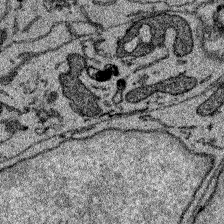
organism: Zebrafish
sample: Larval olfactory bulb